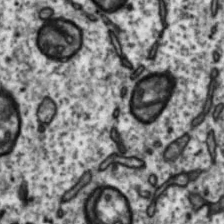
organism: Human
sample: HeLa cells